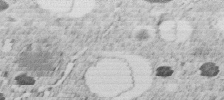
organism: C. elegans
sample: C. elegans embryo early stage